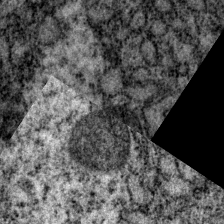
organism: P. pacificus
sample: Pharynx